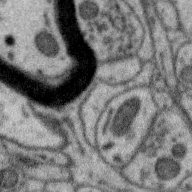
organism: Zebra finch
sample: Brain